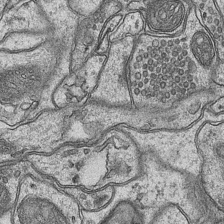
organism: Mouse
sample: CA1 Hippocampus